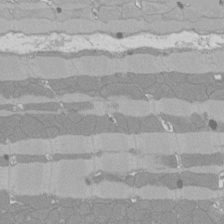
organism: Rat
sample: Left ventricle